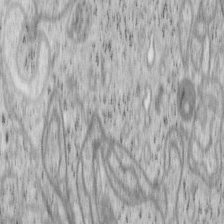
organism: Human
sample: HeLa cells